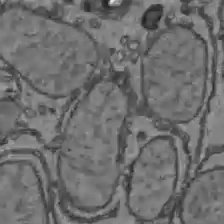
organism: C57BL Mouse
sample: Liver